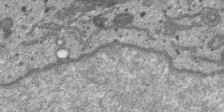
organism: Human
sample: Lung epithelial cells infected with SARS-CoV-2